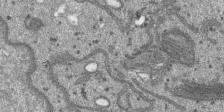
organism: Human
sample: Lung epithelial cells infected with SARS-CoV-2